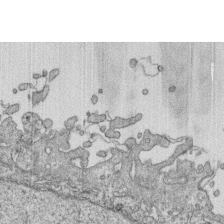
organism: Human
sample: HeLa cell HIV synapse